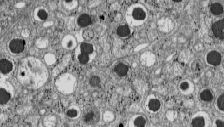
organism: C57BL Mouse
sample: Pancreatic islet